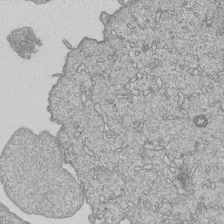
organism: Human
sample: MDA-MB-231 cells